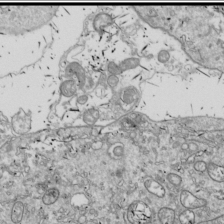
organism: Drosophila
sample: Cell division; meiosis; drosophila spermatocytes